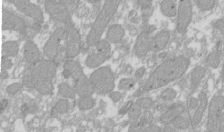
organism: Xenopus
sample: Cilia; centrioles in frog embryo cells